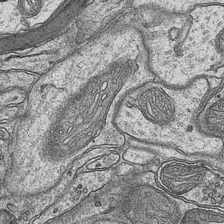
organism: Mouse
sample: CA1 Hippocampus